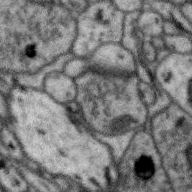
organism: Zebra finch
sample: Brain